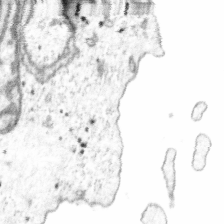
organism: Human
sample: HeLa cells